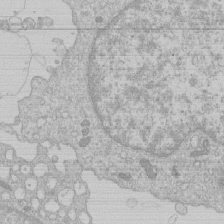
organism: Human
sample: Macrophage cells